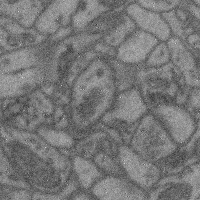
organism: Mouse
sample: Cerebral cortex